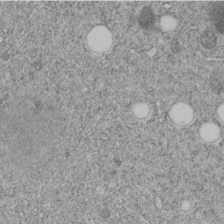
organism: C. elegans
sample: C. elegans embryo early stage